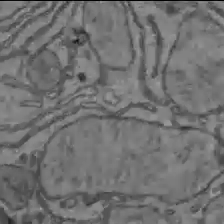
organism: C57BL Mouse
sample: Liver